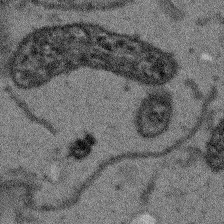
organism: Arabidopsis thaliana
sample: Root tip